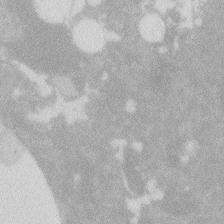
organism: Zebrafish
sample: Macrophage